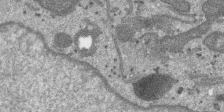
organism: Human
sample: Lung epithelial cells infected with SARS-CoV-2